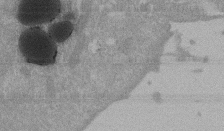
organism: Mouse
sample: ED-1 cell nuclei; centrioles